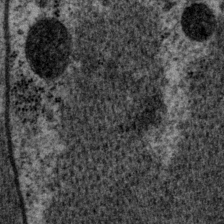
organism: P. pacificus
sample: Pharynx